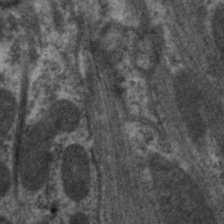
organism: C. elegans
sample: Pharynx